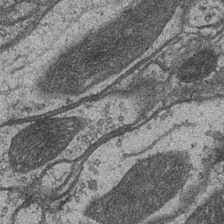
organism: Drosophila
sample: Optic medulla